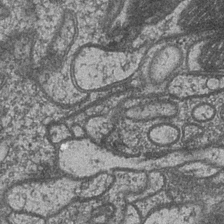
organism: Drosophila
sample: Optic medulla